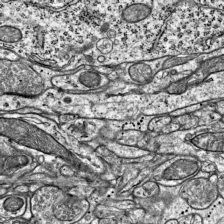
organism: Mouse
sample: Visual Cortex